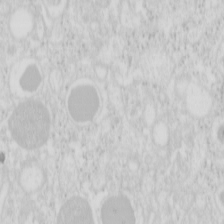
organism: Mouse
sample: Pancreas